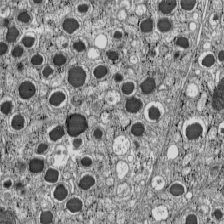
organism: C57BL Mouse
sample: Pancreatic islet